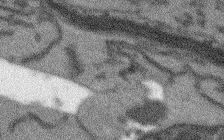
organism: Arabidopsis thaliana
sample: Root tip